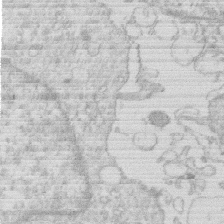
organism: Human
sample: Macrophage cells